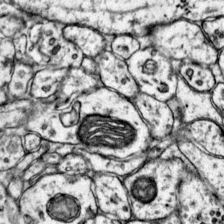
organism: Mouse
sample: Primary visual cortex